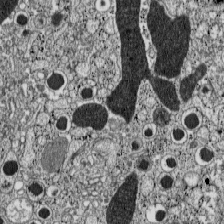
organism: C57BL Mouse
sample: Pancreatic islet